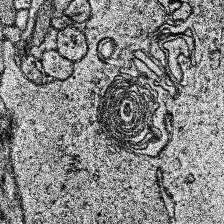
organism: Human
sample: Temporal Lobe